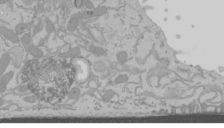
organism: Mouse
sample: Cancer cell death in ED-1 cells